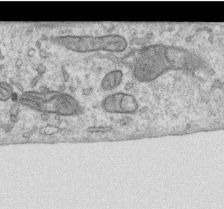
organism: Human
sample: Centriole in RPE cells